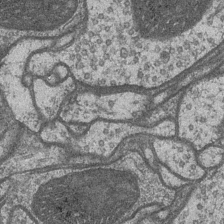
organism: Drosophila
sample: Optic medulla